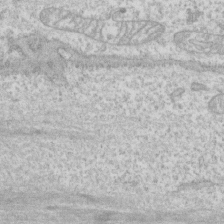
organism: Human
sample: CRL-1474